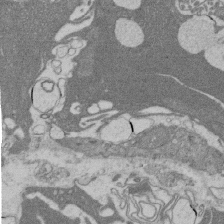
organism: Rat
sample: Salivary granule